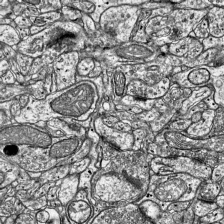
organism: Mouse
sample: Visual Cortex